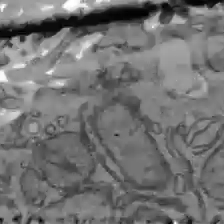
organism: C57BL Mouse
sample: Liver